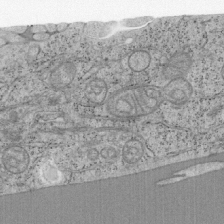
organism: Human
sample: HeLa cells